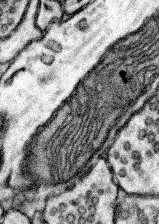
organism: Mouse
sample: Somatosensory cortex neuropil